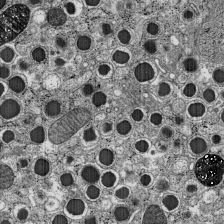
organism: C57BL Mouse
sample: Pancreatic islet